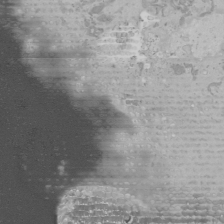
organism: Mouse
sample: Cancer cell death in ED-1 cells